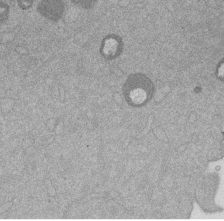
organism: Mouse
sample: Dividing mouse embryo 1 cell stage